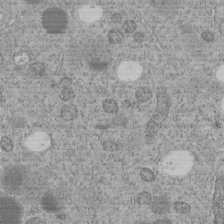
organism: C. elegans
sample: C. elegans embryo early stage